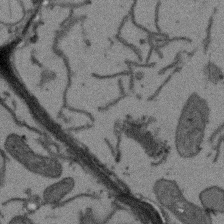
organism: Arabidopsis thaliana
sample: Root tip